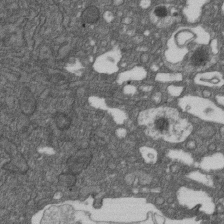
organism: Drosophila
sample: Nephrocyte